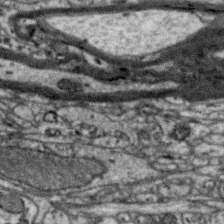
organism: Zebra finch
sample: Brain